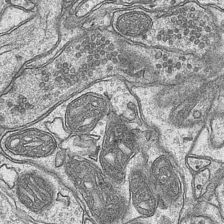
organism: Mouse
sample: CA1 Hippocampus